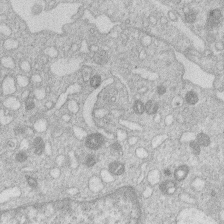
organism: Human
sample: Macrophage cells